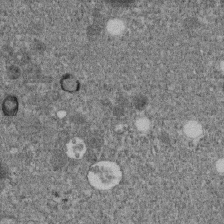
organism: C. elegans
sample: C. elegans embryo early stage